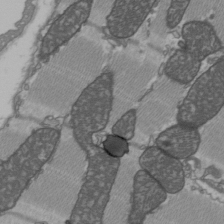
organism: C57BL Mouse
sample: Heart